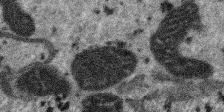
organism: Human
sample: Lung epithelial cells infected with SARS-CoV-2